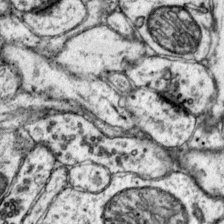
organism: Mouse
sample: Primary visual cortex